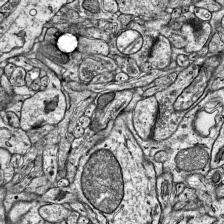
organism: Mouse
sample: Visual Cortex